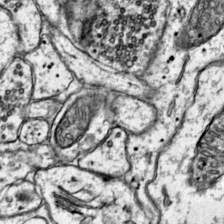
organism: Mouse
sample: Primary visual cortex